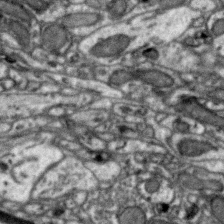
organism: Zebra finch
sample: Brain